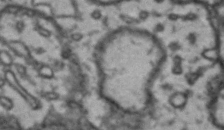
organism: Drosophila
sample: Brain